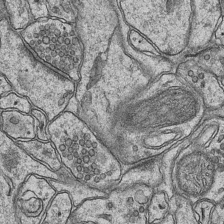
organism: Mouse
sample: CA1 Hippocampus